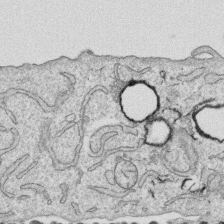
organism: Human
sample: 1205lu cells